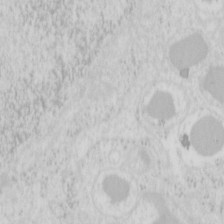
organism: Mouse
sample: Pancreas